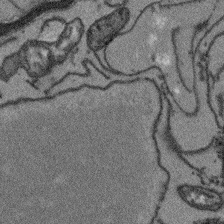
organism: Arabidopsis thaliana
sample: Root tip